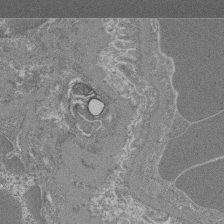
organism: Mouse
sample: Glomerulus